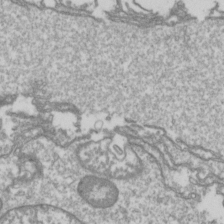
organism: Drosophila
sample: Cell division; meiosis; drosophila spermatocytes